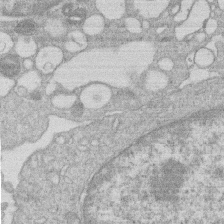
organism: Human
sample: Macrophage cells